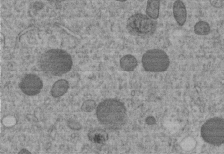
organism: C. elegans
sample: C. elegans embryo early stage